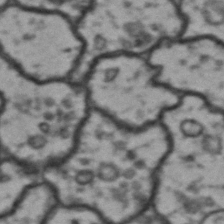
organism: Drosophila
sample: Brain